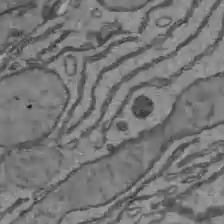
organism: C57BL Mouse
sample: Liver